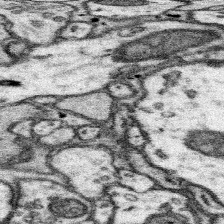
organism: Mouse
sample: Somatosensory cortex neuropil